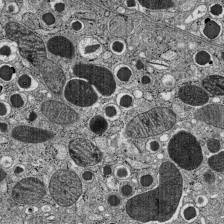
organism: C57BL Mouse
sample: Pancreatic islet